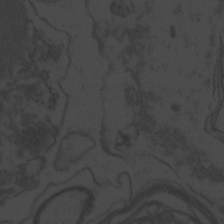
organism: Zebrafish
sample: Macrophage infected with Toxoplasma gondii